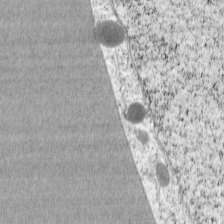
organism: African green monkey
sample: COS-7 cells